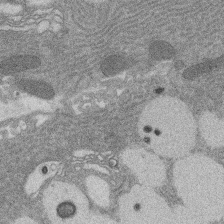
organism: Rat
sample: Salivary granule